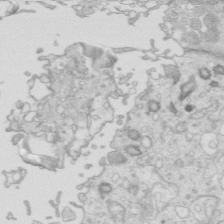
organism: Mouse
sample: Multiciliated cells